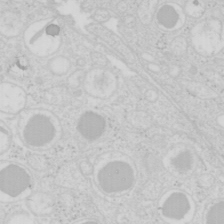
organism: Mouse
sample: Pancreas